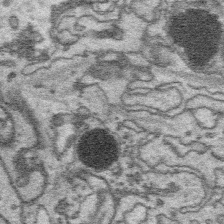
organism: Platynereis dumerilii